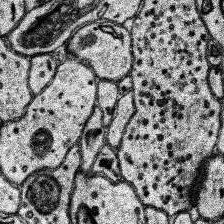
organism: Human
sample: Temporal Lobe